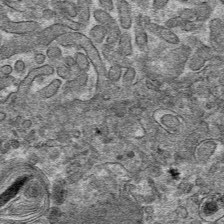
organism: Mouse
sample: Mouse hepatocytes